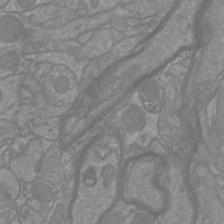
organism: Mouse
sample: Cortical neurons